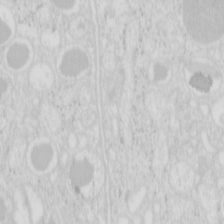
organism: Mouse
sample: Pancreas